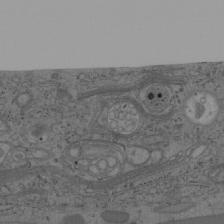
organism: Human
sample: HeLa cells